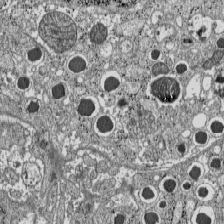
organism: C57BL Mouse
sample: Pancreatic islet